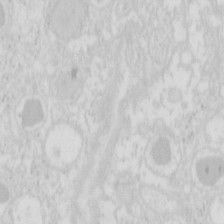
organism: Mouse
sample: Pancreas